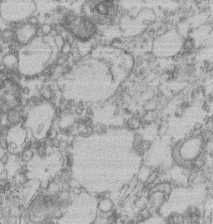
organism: Mouse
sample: T cell stromal cell synapse